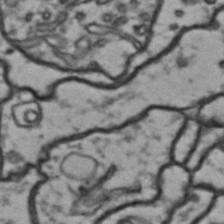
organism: Drosophila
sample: Brain